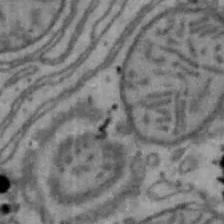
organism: Mouse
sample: Liver